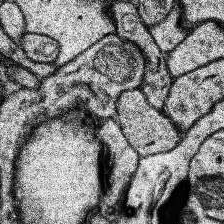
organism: Human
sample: Temporal Lobe